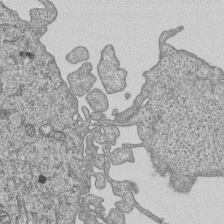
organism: Human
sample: MDA-MB-231 cells